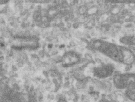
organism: Human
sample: Centriole in RPE cells